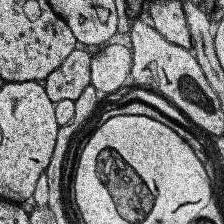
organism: Human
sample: Temporal Lobe